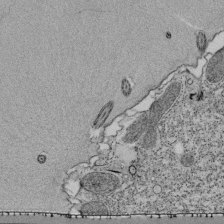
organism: Tetrahymena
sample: Cilia in tetrahymena